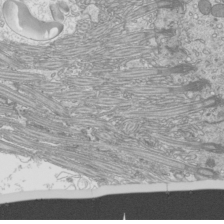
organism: Mouse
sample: Cilia; mouse epididymis